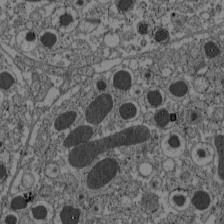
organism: C57BL Mouse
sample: Pancreatic islet